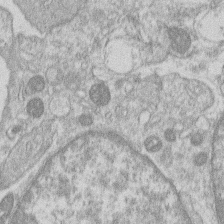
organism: Human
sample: Macrophage cells